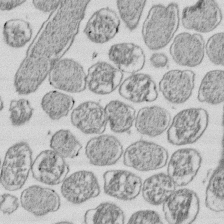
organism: E. coli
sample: Bacterial nucleoid